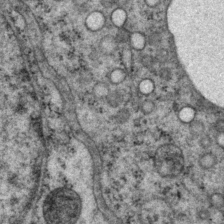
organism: P. pacificus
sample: Pharynx